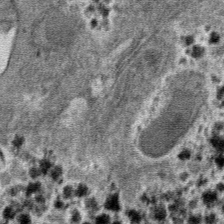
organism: Mouse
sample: Mouse hepatocytes